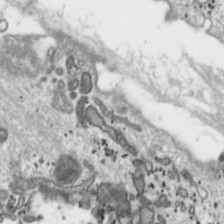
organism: Toxoplasma gondii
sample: Parasites in a vacuole inside a host cell